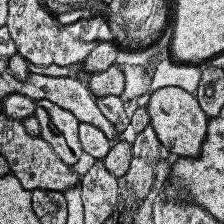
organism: Human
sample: Temporal Lobe